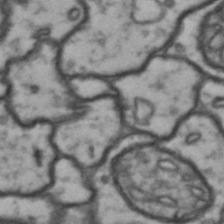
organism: Drosophila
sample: Brain